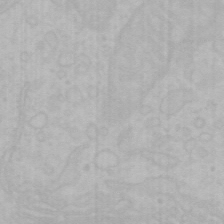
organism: Mouse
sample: Choroid plexus